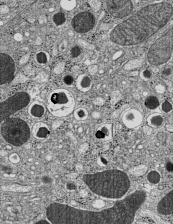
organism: C57BL Mouse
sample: Pancreatic islet